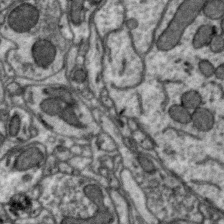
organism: Zebra finch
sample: Brain